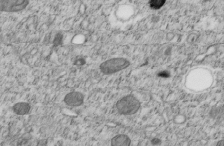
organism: C. elegans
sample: C. elegans embryo early stage